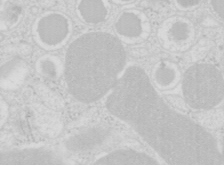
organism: Mouse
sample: Pancreas